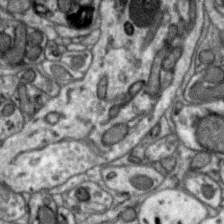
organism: Zebra finch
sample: Brain